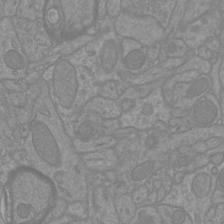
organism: Mouse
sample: Cortical neurons